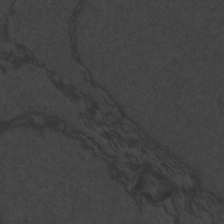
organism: Zebrafish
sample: Macrophage infected with Toxoplasma gondii